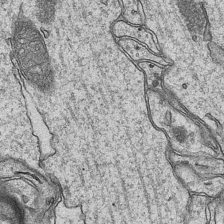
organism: Mouse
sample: CA1 Hippocampus